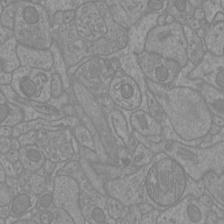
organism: Mouse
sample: Cortical neurons